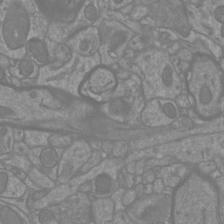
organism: Mouse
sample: Cortical neurons